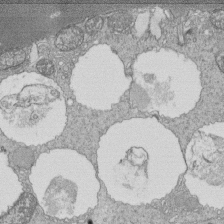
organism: Tetrahymena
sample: Cilia in tetrahymena